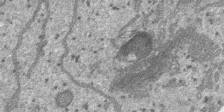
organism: Human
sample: Lung epithelial cells infected with SARS-CoV-2